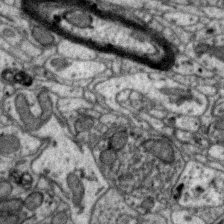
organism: Zebra finch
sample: Brain